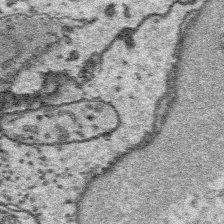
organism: Platynereis dumerilii